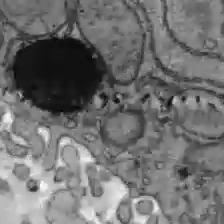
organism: C57BL Mouse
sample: Liver